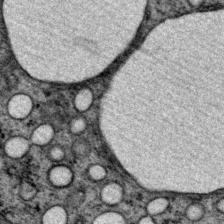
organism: P. pacificus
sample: Pharynx